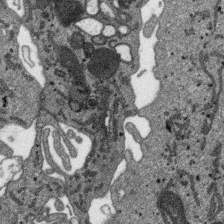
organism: Human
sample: Lung epithelial cells infected with SARS-CoV-2